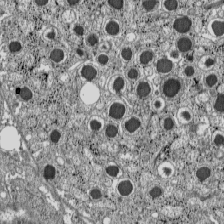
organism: C57BL Mouse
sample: Pancreatic islet